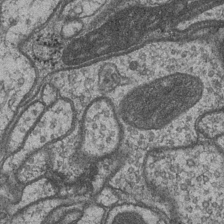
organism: Drosophila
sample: Optic medulla